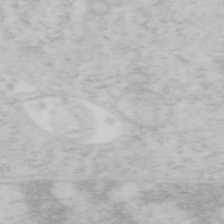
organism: Mouse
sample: OT-I killer T cells with ID8 ovarian cancer cells